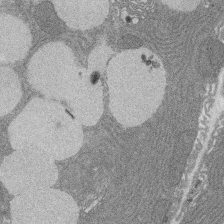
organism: Rat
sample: Salivary granule